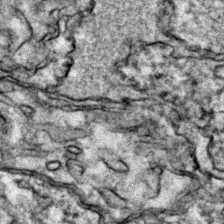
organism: Zebrafish